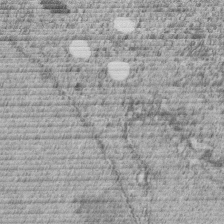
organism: C. elegans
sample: C. elegans embryo early stage